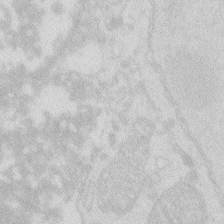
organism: Zebrafish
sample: Macrophage